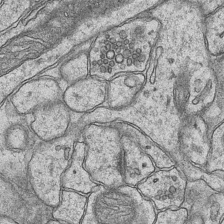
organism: Mouse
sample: CA1 Hippocampus